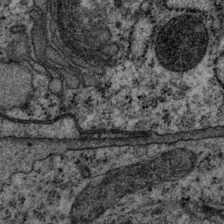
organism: P. pacificus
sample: Pharynx